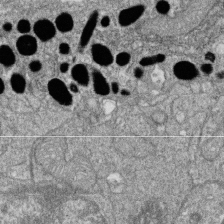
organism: Zebrafish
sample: Cilia; retinal pigment epithelium